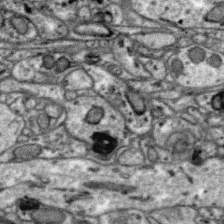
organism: Zebra finch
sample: Brain